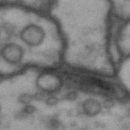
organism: Drosophila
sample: Brain